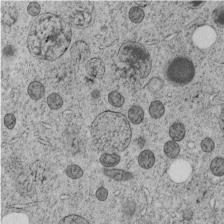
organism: C. elegans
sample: C. elegans embryo early stage